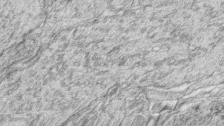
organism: Zebrafish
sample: synaptic ribbons in rod cells and cone cells